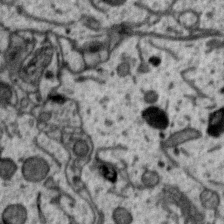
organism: Zebra finch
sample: Brain